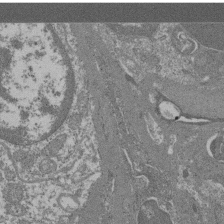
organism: Mouse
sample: Glomerulus